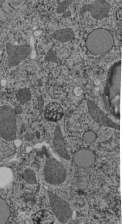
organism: C. elegans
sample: C. elegans pharynx